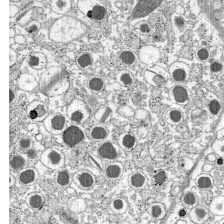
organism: C57BL Mouse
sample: Pancreatic islet